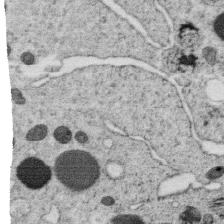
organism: C. elegans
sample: C. elegans oocyte; sperm cells